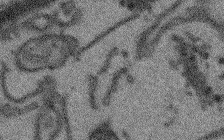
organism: Arabidopsis thaliana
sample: Root tip